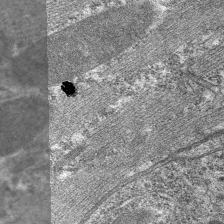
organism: C. elegans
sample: Pharynx